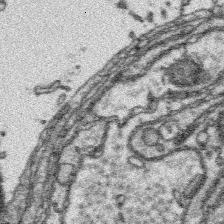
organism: Platynereis dumerilii